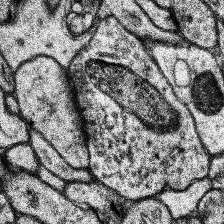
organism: Human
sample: Temporal Lobe